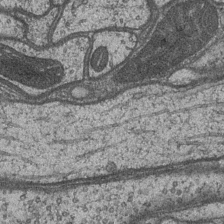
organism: Drosophila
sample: Optic medulla